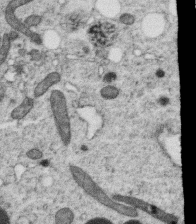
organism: C. elegans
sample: C. elegans oocyte; sperm cells